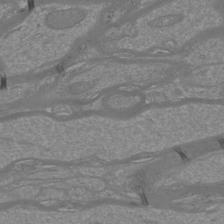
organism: Mouse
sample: Cortical neurons